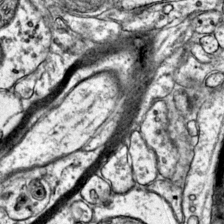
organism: Mouse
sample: Primary visual cortex